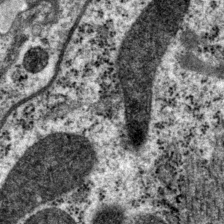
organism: P. pacificus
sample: Pharynx